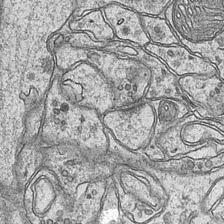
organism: Mouse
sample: CA1 Hippocampus